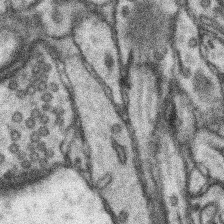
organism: Mouse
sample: Somatosensory cortex neuropil